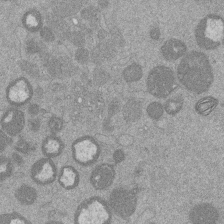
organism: Mouse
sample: Dividing mouse embryo 1 cell stage